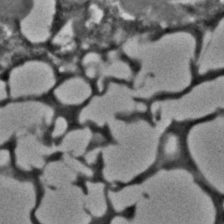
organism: C. elegans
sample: C. elegans embryo